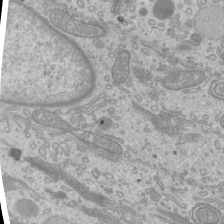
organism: Mouse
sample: Cilia; mouse epididymis